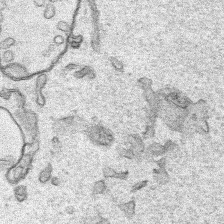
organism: Human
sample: Mitochondria in HCT116 cells